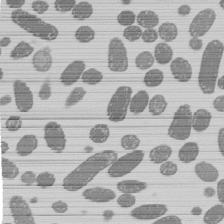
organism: E. coli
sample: Bacterial nucleoid